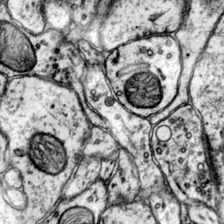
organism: Mouse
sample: Primary visual cortex